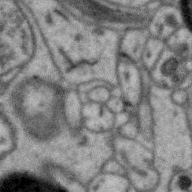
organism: Zebra finch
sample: Brain